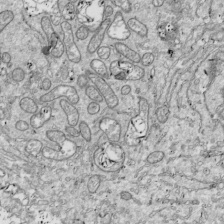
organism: Drosophila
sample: Cell division; meiosis; drosophila spermatocytes